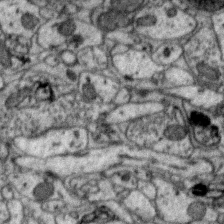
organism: Zebra finch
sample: Brain